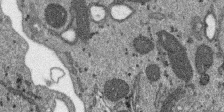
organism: Human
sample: Lung epithelial cells infected with SARS-CoV-2